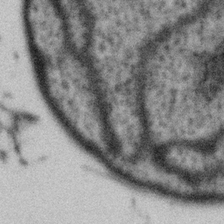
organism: Gemmata obscuriglobus